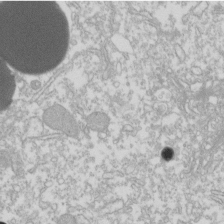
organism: Xenopus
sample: Cilia; centrioles in frog embryo cells